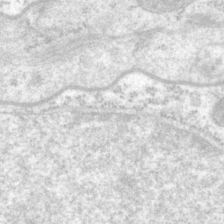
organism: P. pacificus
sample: Pharynx